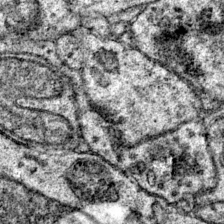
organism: Mouse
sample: Primary visual cortex